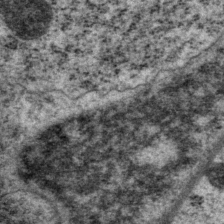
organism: P. pacificus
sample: Pharynx